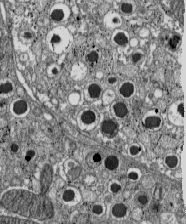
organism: C57BL Mouse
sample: Pancreatic islet